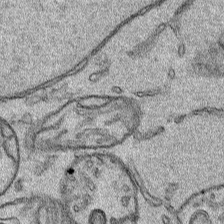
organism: Human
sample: Mitochondria in HCT116 cells